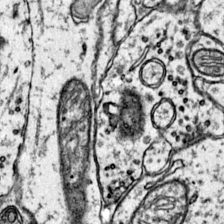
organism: Mouse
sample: Primary visual cortex